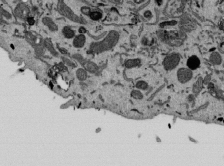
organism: Mouse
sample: ED-1 cell nuclei; centrioles